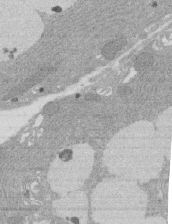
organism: Rat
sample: Salivary granule